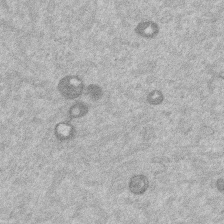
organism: Mouse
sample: Dividing mouse embryo 1 cell stage